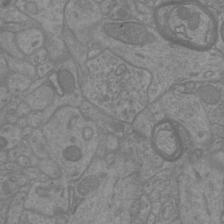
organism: Mouse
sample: Cortical neurons